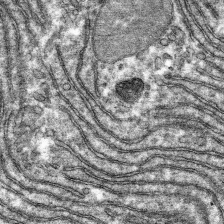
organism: Mouse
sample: Mouse hepatocytes